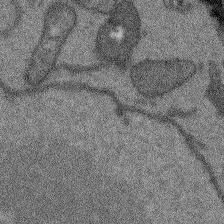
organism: Arabidopsis thaliana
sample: Root tip